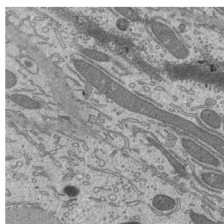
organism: Mouse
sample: Mouse epididymis efferent ductule cilia